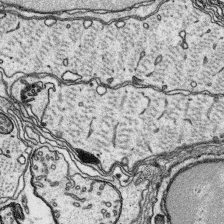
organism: Platynereis dumerilii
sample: Parapodia